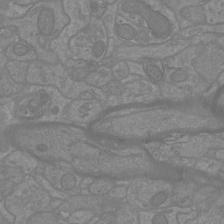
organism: Mouse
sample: Cortical neurons